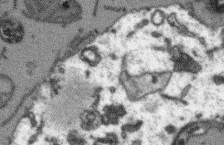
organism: Arabidopsis thaliana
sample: Root tip